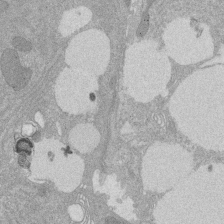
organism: Rat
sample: Salivary granule